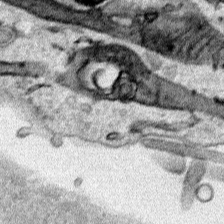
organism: Human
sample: Mitochondria in HCT116 cells